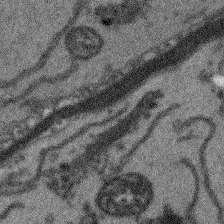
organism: Arabidopsis thaliana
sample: Root tip